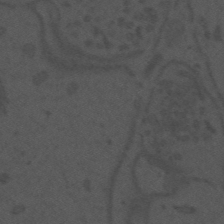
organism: Mouse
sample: Suprachiasmatic nucleus